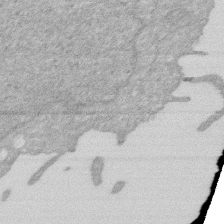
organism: Human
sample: HIV infected U937 cells